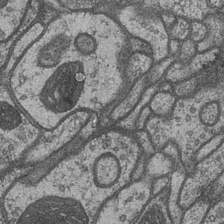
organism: Drosophila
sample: Optic medulla